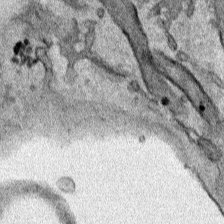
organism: Human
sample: Mitochondria in HCT116 cells